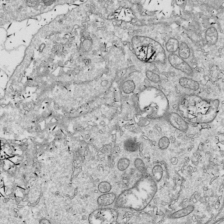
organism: Drosophila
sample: Cell division; meiosis; drosophila spermatocytes